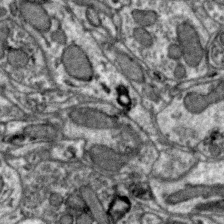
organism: Zebra finch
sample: Brain